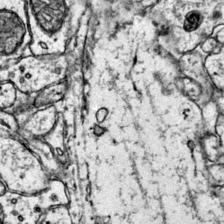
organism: Mouse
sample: Primary visual cortex